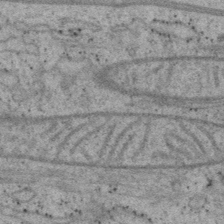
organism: Human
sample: HeLa cells